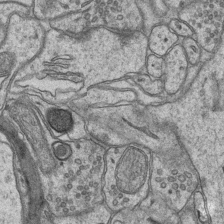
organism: Mouse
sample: CA1 Hippocampus